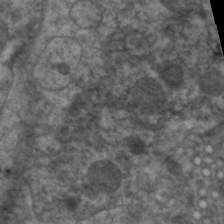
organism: C. elegans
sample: Pharynx